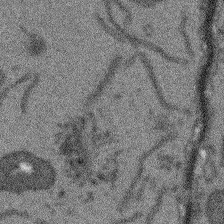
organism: Arabidopsis thaliana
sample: Root tip